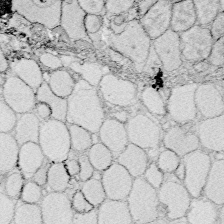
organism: Zebrafish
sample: Whole-Brain